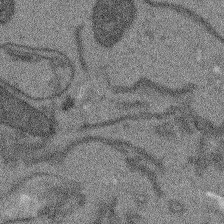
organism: Arabidopsis thaliana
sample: Root tip